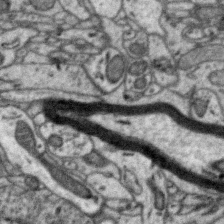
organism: Zebra finch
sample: Brain